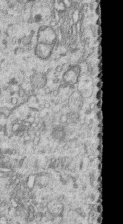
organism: Human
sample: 1205lu cells